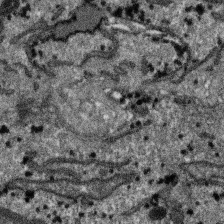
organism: Human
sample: Lung epithelial cells infected with SARS-CoV-2